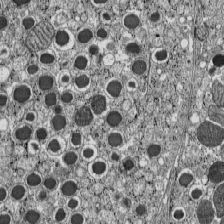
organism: C57BL Mouse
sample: Pancreatic islet